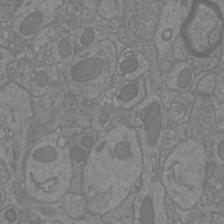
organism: Mouse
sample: Cortical neurons